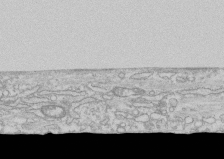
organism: Human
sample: CRL-1474